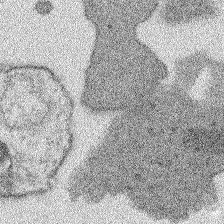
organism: Human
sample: HeLa cells